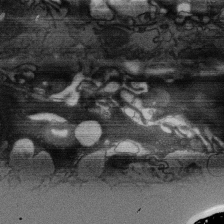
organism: Rat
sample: Salivary granule